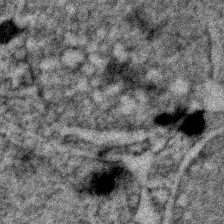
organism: Zebrafish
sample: Zebrafish embryo